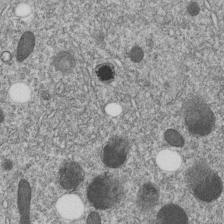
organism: C. elegans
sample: C. elegans embryo early stage